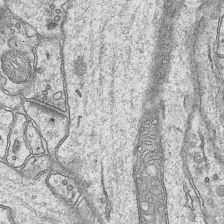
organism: Mouse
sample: CA1 Hippocampus